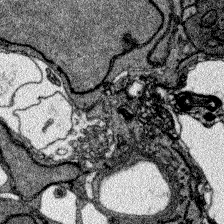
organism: Zebrafish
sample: Larval olfactory bulb